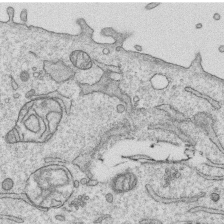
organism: Human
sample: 1205lu cells